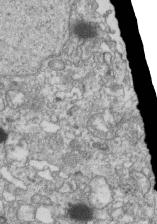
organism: Human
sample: HeLa cell HIV synapse